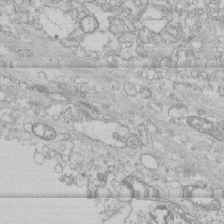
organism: Human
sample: CRL-1474